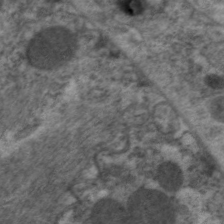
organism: C. elegans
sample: Pharynx